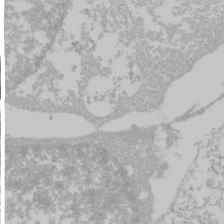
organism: Mouse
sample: Cancer cell death in ED-1 cells